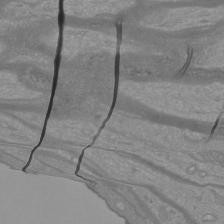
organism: Mouse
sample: Cortical neurons